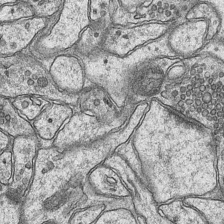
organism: Mouse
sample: CA1 Hippocampus